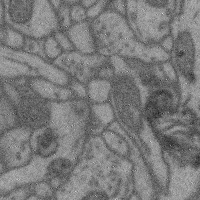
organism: Mouse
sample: Cerebral cortex